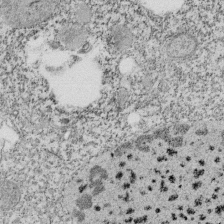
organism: Tetrahymena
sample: Cilia in tetrahymena